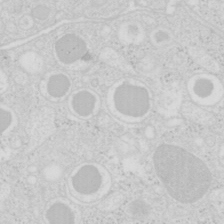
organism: Mouse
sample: Pancreas